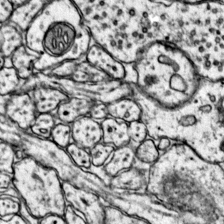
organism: Mouse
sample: Primary visual cortex